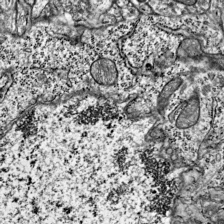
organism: Mouse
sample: Visual Cortex